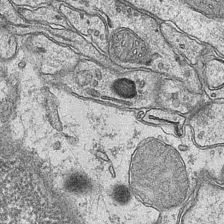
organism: Mouse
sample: CA1 Hippocampus